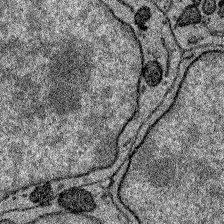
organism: Zebrafish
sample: Larval olfactory bulb